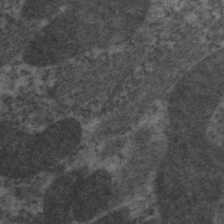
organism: C. elegans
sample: Pharynx